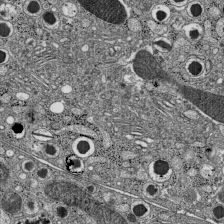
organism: C57BL Mouse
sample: Pancreatic islet